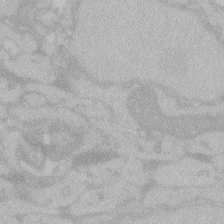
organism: Zebrafish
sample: Macrophage infected with Toxoplasma gondii